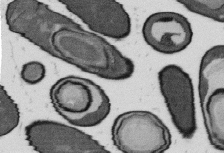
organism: B. subtilis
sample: Bacterial spore